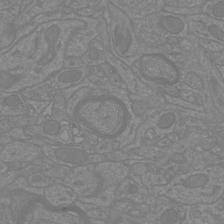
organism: Mouse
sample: Cortical neurons